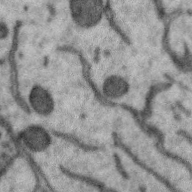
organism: Zebra finch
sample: Brain